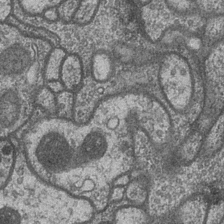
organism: Drosophila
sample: Optic medulla